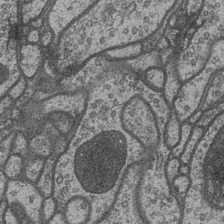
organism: Drosophila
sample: Optic medulla